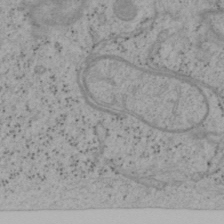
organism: Human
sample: HeLa cells